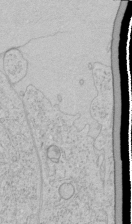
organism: Human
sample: Mitochondria in HCT116 cells